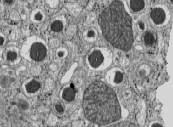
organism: C57BL Mouse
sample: Pancreatic islet